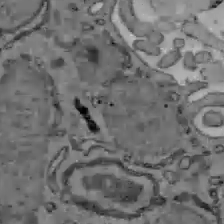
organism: C57BL Mouse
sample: Liver